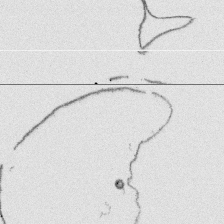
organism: Platynereis dumerilii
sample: Parapodia